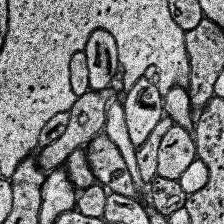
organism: Human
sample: Temporal Lobe